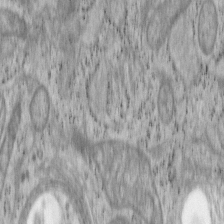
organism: Human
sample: HeLa cells